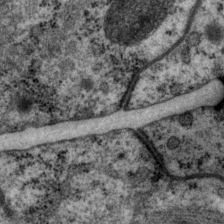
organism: P. pacificus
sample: Pharynx